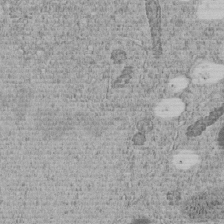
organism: C. elegans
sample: C. elegans embryo early stage